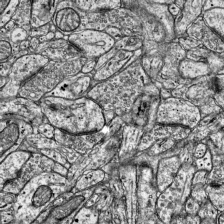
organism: Mouse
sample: Visual Cortex